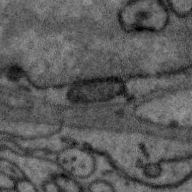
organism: Zebra finch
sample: Brain